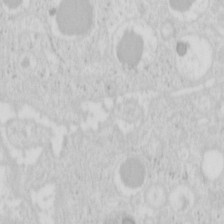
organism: Mouse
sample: Pancreas